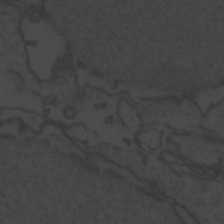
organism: Zebrafish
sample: Macrophage infected with Toxoplasma gondii